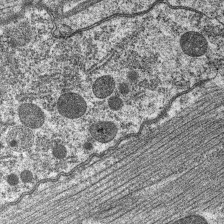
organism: C. elegans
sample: Pharynx